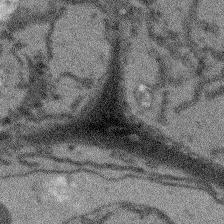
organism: Arabidopsis thaliana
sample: Root tip